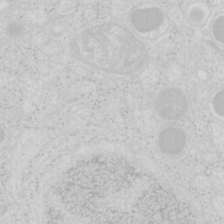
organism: Mouse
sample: Pancreas